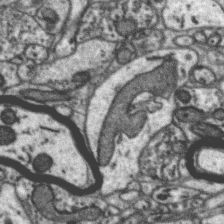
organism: Zebra finch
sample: Brain